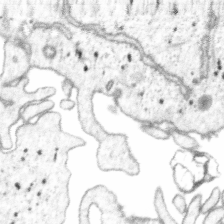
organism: Human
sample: HeLa cells